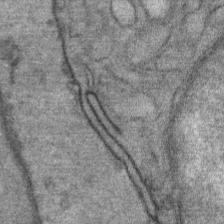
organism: Mouse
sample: Mouse Salivary gland